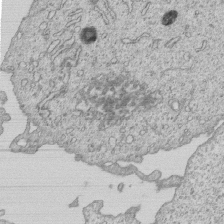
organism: Human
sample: MDA-MB-231 cells